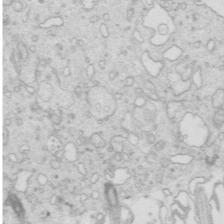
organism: Mouse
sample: Multiciliated cells